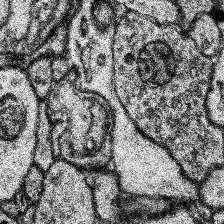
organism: Human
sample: Temporal Lobe